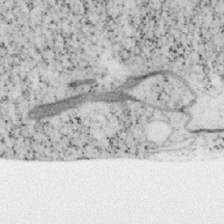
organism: Mouse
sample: OT-I killer T cells with ID8 ovarian cancer cells